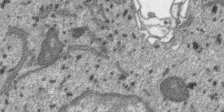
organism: Human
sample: Lung epithelial cells infected with SARS-CoV-2